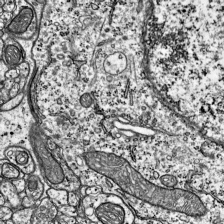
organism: Mouse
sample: Visual Cortex